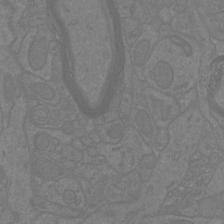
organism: Mouse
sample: Cortical neurons